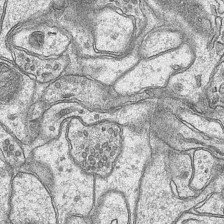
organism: Mouse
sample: CA1 Hippocampus